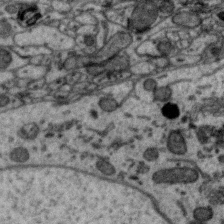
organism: Zebra finch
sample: Brain